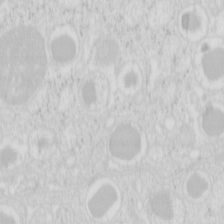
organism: Mouse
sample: Pancreas